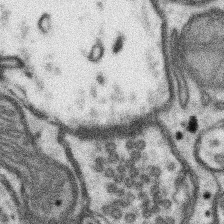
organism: Mouse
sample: Somatosensory cortex neuropil